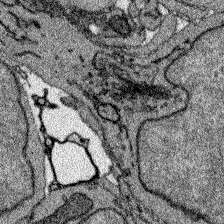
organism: Zebrafish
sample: Larval olfactory bulb